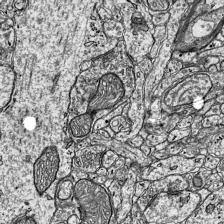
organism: Mouse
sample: Visual Cortex